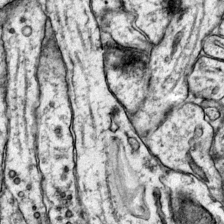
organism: Mouse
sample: Primary visual cortex